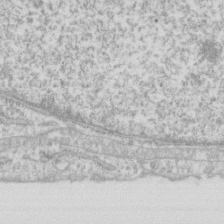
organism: Human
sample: Fibroblast cells